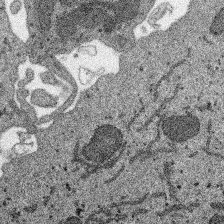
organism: Human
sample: Lung epithelial cells infected with SARS-CoV-2